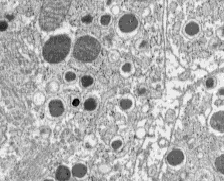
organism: C57BL Mouse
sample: Pancreatic islet